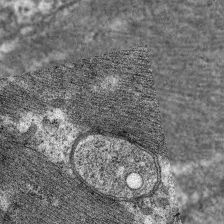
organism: C. elegans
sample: Pharynx